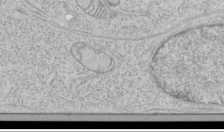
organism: Human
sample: Mitochondria in HCT116 cells